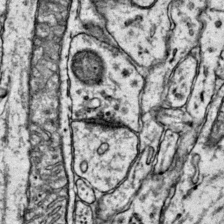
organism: Mouse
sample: Primary visual cortex